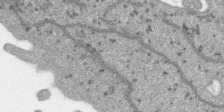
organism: Human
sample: Lung epithelial cells infected with SARS-CoV-2